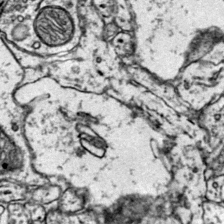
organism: Mouse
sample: Primary visual cortex